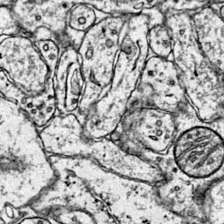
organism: Mouse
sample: Primary visual cortex